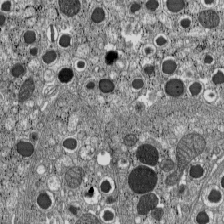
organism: C57BL Mouse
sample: Pancreatic islet